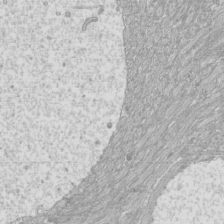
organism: Mouse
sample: Cilia; mouse epididymis